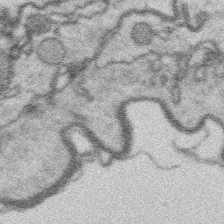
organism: Platynereis dumerilii